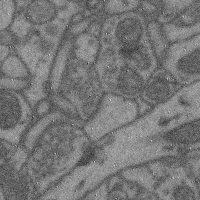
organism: Mouse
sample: Cerebral cortex